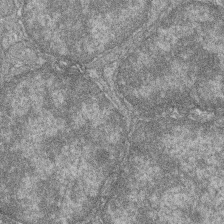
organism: Zebrafish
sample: Cilia; retinal pigment epithelium